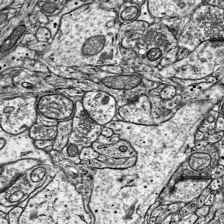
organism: Mouse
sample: Visual Cortex